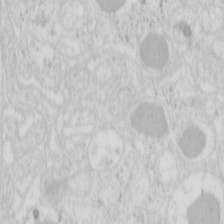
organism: Mouse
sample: Pancreas